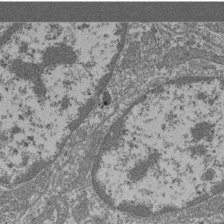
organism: Mouse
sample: Glomerulus